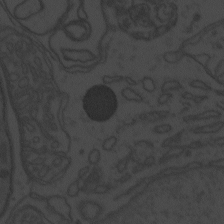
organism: Zebrafish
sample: Macrophage infected with Toxoplasma gondii